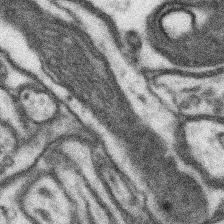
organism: Mouse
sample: Somatosensory cortex neuropil